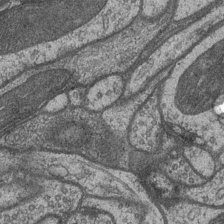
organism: Drosophila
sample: Optic medulla